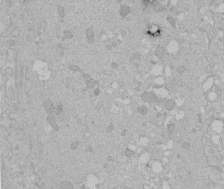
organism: Human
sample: Melanocyte Keratinocyte synapse skin construct